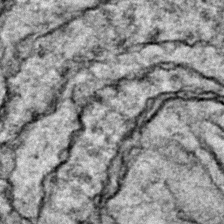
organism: Zebrafish